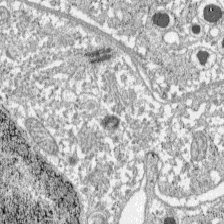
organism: C57BL Mouse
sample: Pancreatic islet